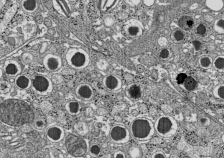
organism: C57BL Mouse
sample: Pancreatic islet